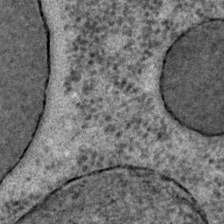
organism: C. elegans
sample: C. elegans embryo